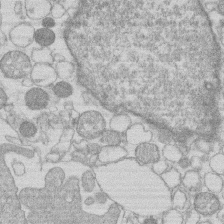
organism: Human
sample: Macrophage cells